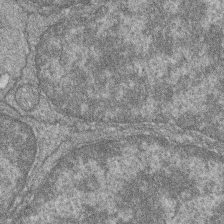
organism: Zebrafish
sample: Cilia; retinal pigment epithelium